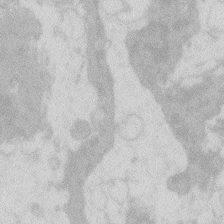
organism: Zebrafish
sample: Macrophage